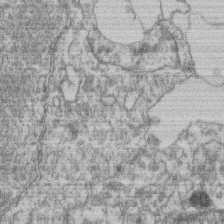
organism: Mouse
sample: T cell stromal cell synapse